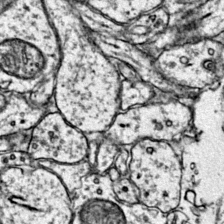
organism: Mouse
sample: Primary visual cortex